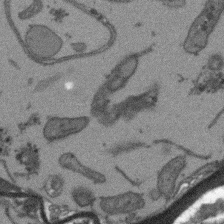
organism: Arabidopsis thaliana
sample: Root tip